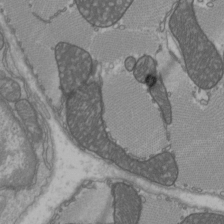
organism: C57BL Mouse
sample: Heart